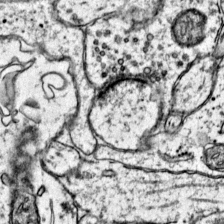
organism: Mouse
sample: Primary visual cortex